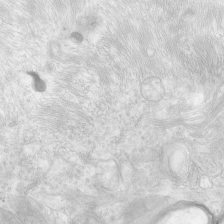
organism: Human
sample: Neocortex